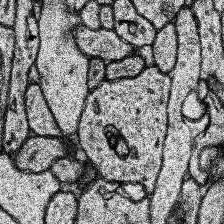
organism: Human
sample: Temporal Lobe